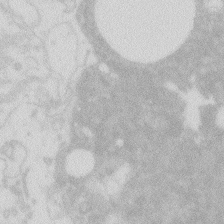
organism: Zebrafish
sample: Macrophage